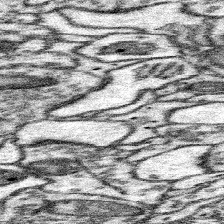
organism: Mouse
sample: Somatosensory cortex neuropil